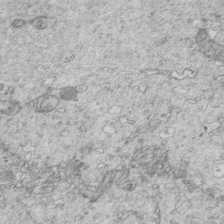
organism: Mouse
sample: Multiciliated cells